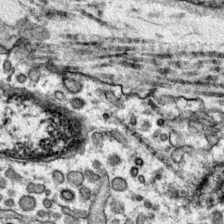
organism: Mouse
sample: Primary visual cortex